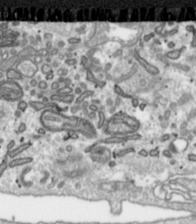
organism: Toxoplasma gondii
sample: Parasites in a vacuole inside a host cell